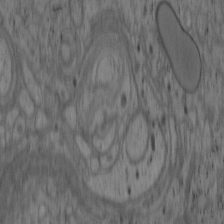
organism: Human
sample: HeLa cells